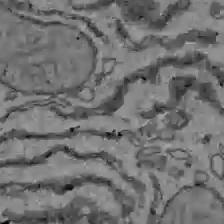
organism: C57BL Mouse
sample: Liver